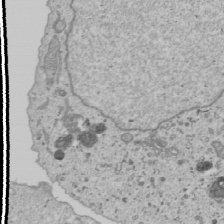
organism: Human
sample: Mitochondria in U2OS cells